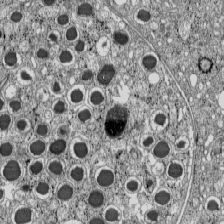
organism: C57BL Mouse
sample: Pancreatic islet